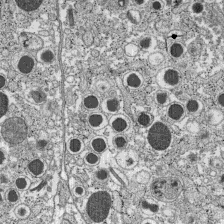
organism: C57BL Mouse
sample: Pancreatic islet